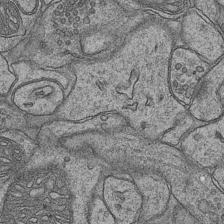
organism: Mouse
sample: CA1 Hippocampus